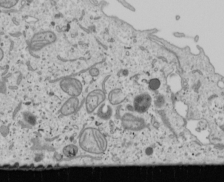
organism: Human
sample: Mitochondria in U2OS cells